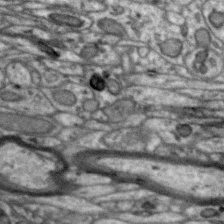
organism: Zebra finch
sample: Brain